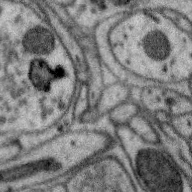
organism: Zebra finch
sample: Brain